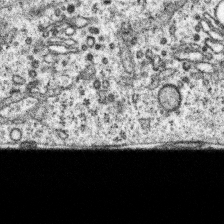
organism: Human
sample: HeLa cells